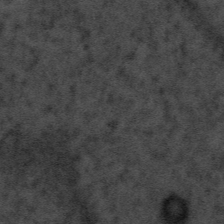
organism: Tuwongella immobilis